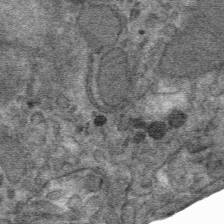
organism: Mouse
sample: Mouse hepatocytes